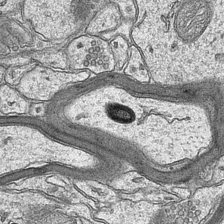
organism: Mouse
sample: CA1 Hippocampus